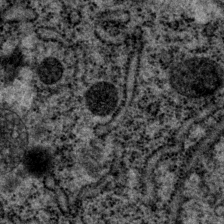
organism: P. pacificus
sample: Pharynx